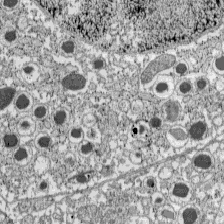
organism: C57BL Mouse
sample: Pancreatic islet